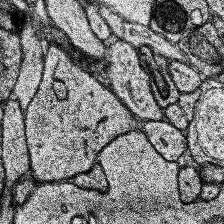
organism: Human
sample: Temporal Lobe